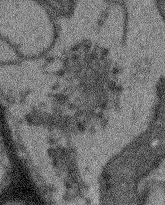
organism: Arabidopsis thaliana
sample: Root tip